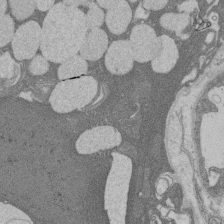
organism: Rat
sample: Salivary granule